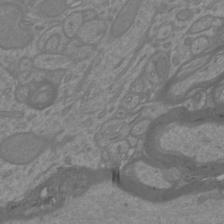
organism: Mouse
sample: Cortical neurons